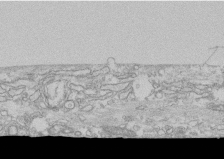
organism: Human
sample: CRL-1474